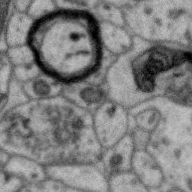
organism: Zebra finch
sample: Brain